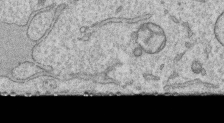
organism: Human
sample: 1205lu cells